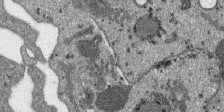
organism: Human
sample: Lung epithelial cells infected with SARS-CoV-2